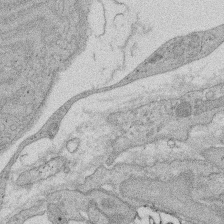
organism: Rat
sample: Salivary granule